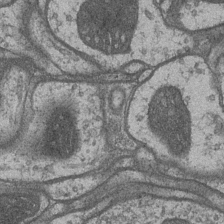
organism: Drosophila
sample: Optic medulla